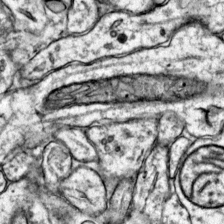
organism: Mouse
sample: Primary visual cortex